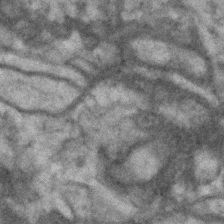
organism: Human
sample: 1205lu cells